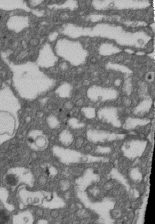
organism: Drosophila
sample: Nephrocyte